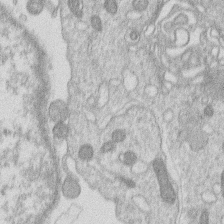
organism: Human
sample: Macrophage cells